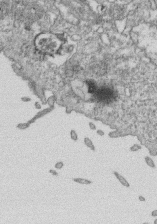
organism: Human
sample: HeLa cell HIV synapse